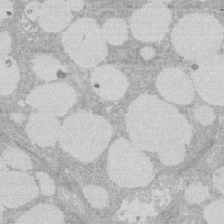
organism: Rat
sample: Salivary granule